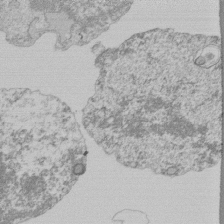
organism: Mouse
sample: Activated Pmel transgenic CD8+ T Cells